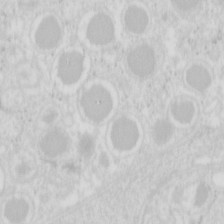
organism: Mouse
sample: Pancreas